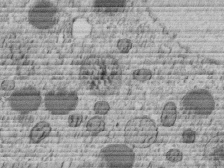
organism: C. elegans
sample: C. elegans embryo early stage